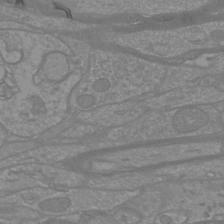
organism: Mouse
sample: Cortical neurons